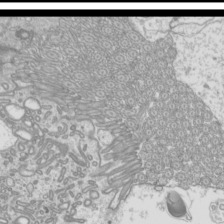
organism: Mouse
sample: Cilia; mouse epididymis